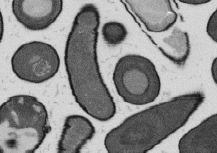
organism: B. subtilis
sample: Bacterial spore